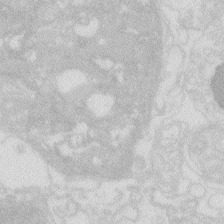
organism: Zebrafish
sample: Macrophage